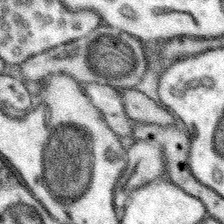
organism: Mouse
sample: Somatosensory cortex neuropil